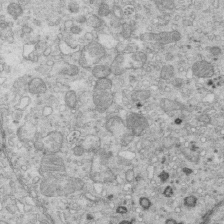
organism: Mouse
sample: Multiciliated cells